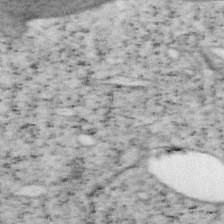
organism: Mouse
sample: OT-I killer T cells with ID8 ovarian cancer cells